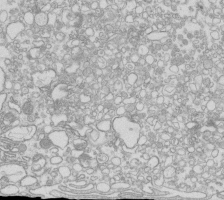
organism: Mouse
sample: Macrophages